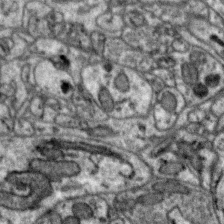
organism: Zebra finch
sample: Brain